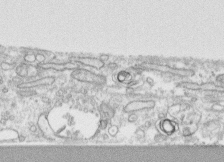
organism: Human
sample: CRL-1474